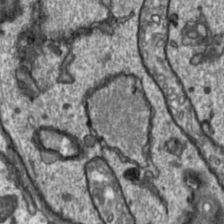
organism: Toxoplasma gondii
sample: Parasites in a vacuole inside a host cell